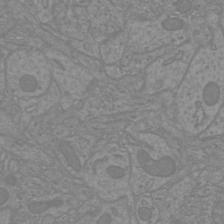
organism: Mouse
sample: Cortical neurons